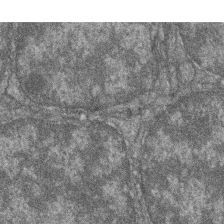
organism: Zebrafish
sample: Cilia; retinal pigment epithelium